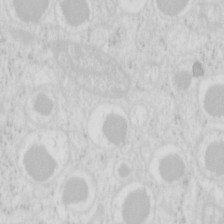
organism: Mouse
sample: Pancreas